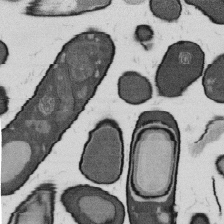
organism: B. subtilis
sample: Bacterial spore